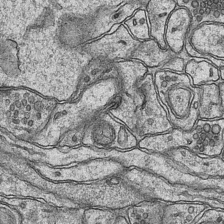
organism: Mouse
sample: CA1 Hippocampus